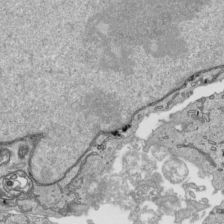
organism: Human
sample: Mitochondria in HCT116 cells